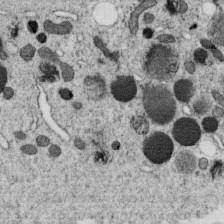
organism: C. elegans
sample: C. elegans oocyte; sperm cells